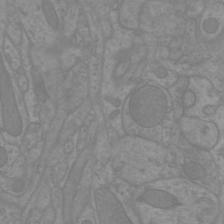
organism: Mouse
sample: Cortical neurons